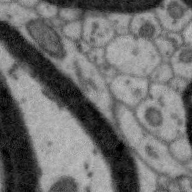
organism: Zebra finch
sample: Brain